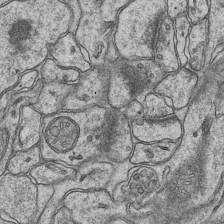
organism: Mouse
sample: CA1 Hippocampus